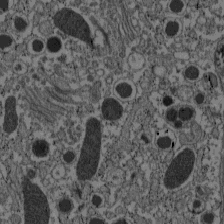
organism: C57BL Mouse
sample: Pancreatic islet